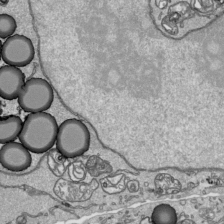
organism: Human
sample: Mitochondria in HCT116 cells